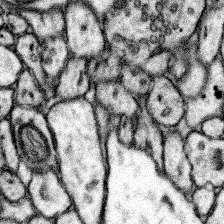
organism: Mouse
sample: Somatosensory cortex neuropil